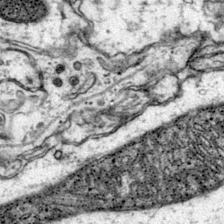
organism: Mouse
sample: Primary visual cortex